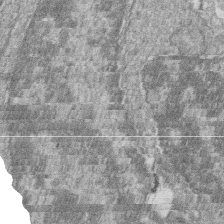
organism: Zebrafish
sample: Cilia; retinal pigment epithelium